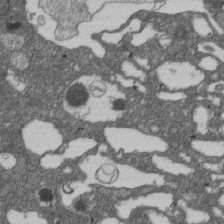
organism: Drosophila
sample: Nephrocyte